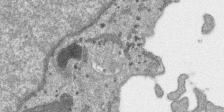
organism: Human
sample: Lung epithelial cells infected with SARS-CoV-2